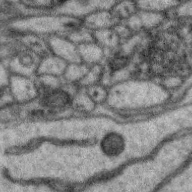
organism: Zebra finch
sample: Brain